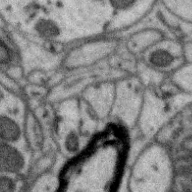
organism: Zebra finch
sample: Brain